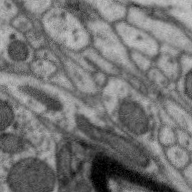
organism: Zebra finch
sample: Brain